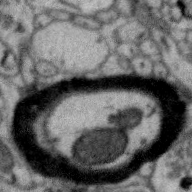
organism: Zebra finch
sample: Brain